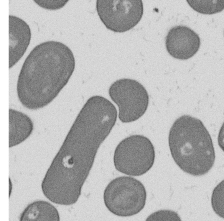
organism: B. subtilis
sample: Bacterial spore